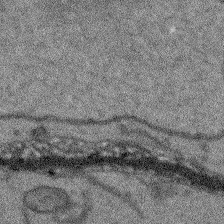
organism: Arabidopsis thaliana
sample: Root tip